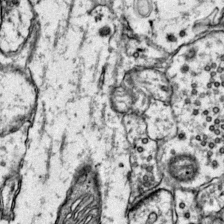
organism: Mouse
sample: Primary visual cortex